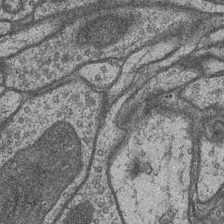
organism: Drosophila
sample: Optic medulla